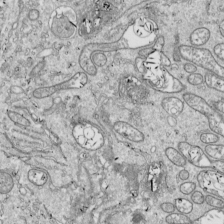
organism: Drosophila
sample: Cell division; meiosis; drosophila spermatocytes